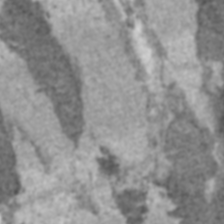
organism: C57BL Mouse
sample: Heart